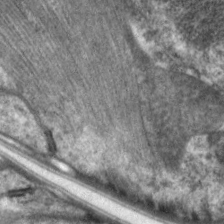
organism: C. elegans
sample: Pharynx